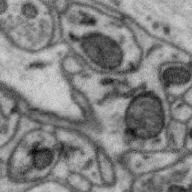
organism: Zebra finch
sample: Brain